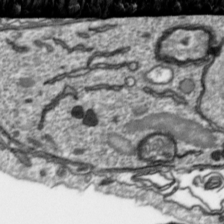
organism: Toxoplasma gondii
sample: Parasites in a vacuole inside a host cell